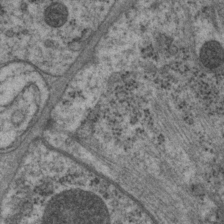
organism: P. pacificus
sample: Pharynx